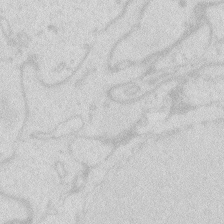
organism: Zebrafish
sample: Macrophage